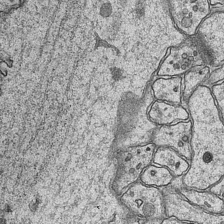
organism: Mouse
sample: CA1 Hippocampus